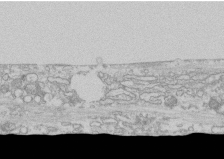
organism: Human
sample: CRL-1474